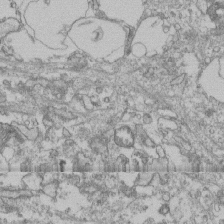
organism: Human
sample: Fibroblast cells